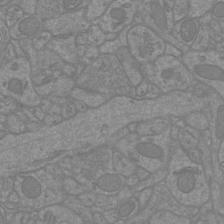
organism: Mouse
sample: Cortical neurons